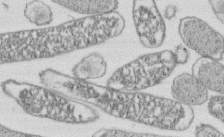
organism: E. coli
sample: Bacterial nucleoid